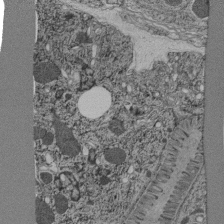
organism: C. elegans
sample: C. elegans pharynx